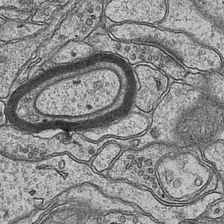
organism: Mouse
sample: CA1 Hippocampus